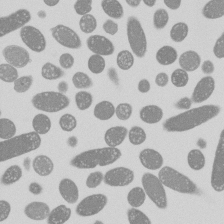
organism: E. coli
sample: Bacterial nucleoid